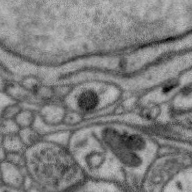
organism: Zebra finch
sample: Brain